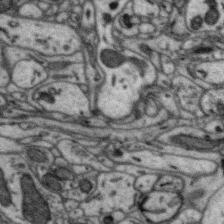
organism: Zebra finch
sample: Brain